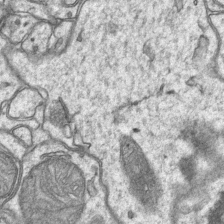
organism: Mouse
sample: CA1 Hippocampus